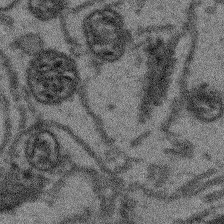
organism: Arabidopsis thaliana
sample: Root tip